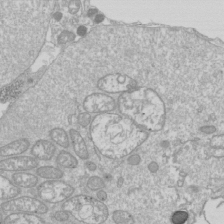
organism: Drosophila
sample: Cell division; meiosis; drosophila spermatocytes